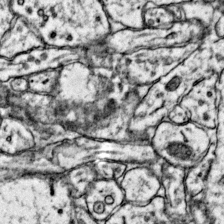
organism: Mouse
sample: Primary visual cortex